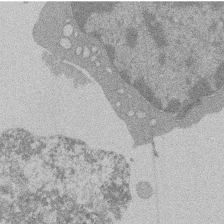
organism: Mouse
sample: Activated Pmel transgenic CD8+ T Cells